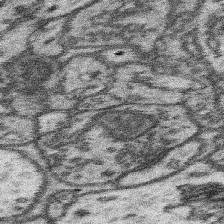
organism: Mouse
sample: Somatosensory cortex neuropil